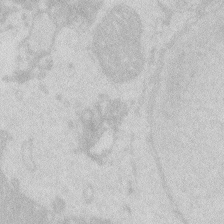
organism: Zebrafish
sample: Macrophage